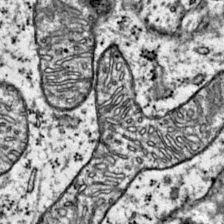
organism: Mouse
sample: Primary visual cortex